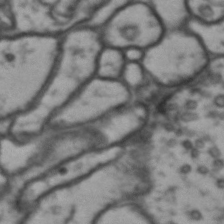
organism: Drosophila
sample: Brain